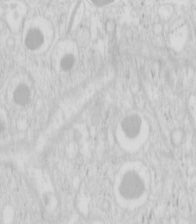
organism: Mouse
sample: Pancreas